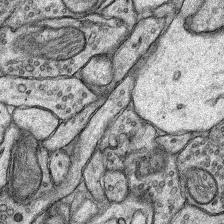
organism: Rat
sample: Hippocampus